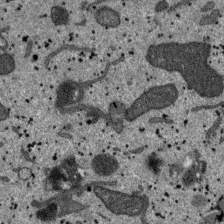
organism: Human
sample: Lung epithelial cells, uninfected (mock) control